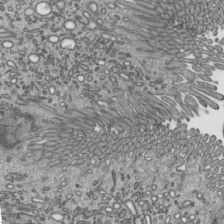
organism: Mouse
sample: Mouse epididymis efferent ductule cilia